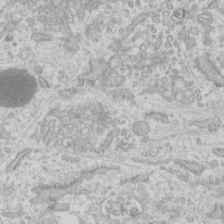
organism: Human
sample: Fibroblast cells